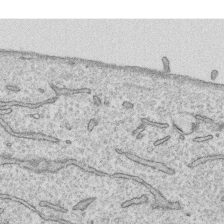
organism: Human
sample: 1205lu cells